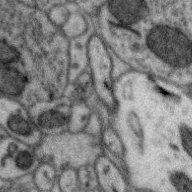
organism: Zebra finch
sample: Brain